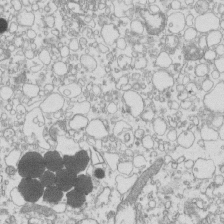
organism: Mouse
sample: Macrophages